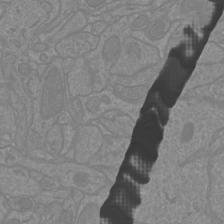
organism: Mouse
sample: Cortical neurons